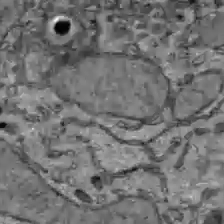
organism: C57BL Mouse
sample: Liver